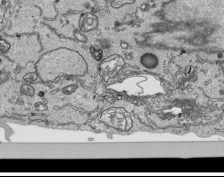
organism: Human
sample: Mitochondria in HCT116 cells